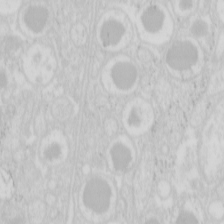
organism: Mouse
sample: Pancreas